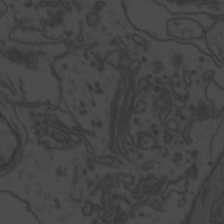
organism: Zebrafish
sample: Macrophage infected with Toxoplasma gondii